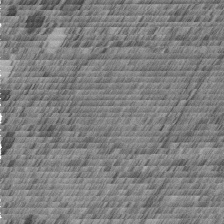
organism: C. elegans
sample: C. elegans embryo early stage